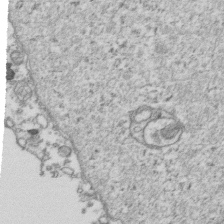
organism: Human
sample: Activated Jurkat CD4+ T cells